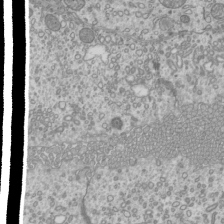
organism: Mouse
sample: Cilia; mouse epididymis